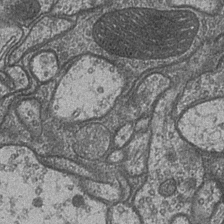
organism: Drosophila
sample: Optic medulla